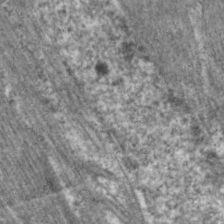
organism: C. elegans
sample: Pharynx